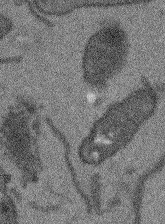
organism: Arabidopsis thaliana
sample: Root tip